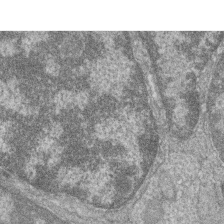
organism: Zebrafish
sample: Cilia; retinal pigment epithelium